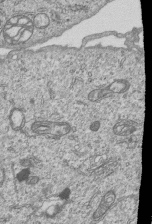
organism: Human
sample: MDA-MB-231 cells